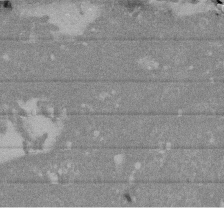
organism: Mouse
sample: ED-1 cell nuclei; centrioles